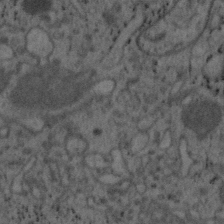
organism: Human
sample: HeLa cells